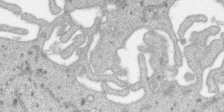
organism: Human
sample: Lung epithelial cells infected with SARS-CoV-2